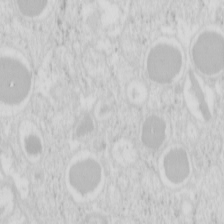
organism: Mouse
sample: Pancreas